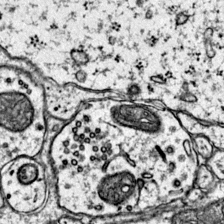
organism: Mouse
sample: Primary visual cortex